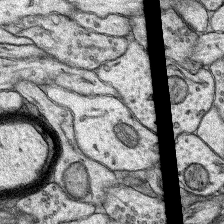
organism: Rat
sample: Hippocampus